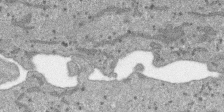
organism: Human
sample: Lung epithelial cells infected with SARS-CoV-2